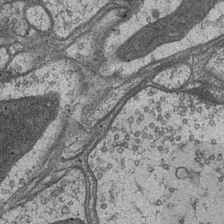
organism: Drosophila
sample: Optic medulla